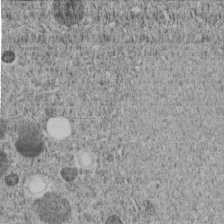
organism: C. elegans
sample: C. elegans embryo early stage